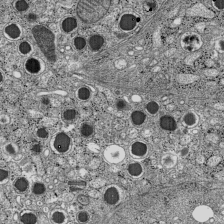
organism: C57BL Mouse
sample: Pancreatic islet